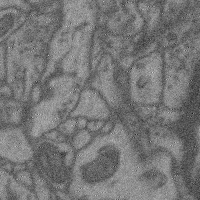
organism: Mouse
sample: Cerebral cortex